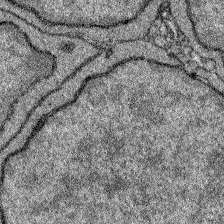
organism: Zebrafish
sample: Larval olfactory bulb